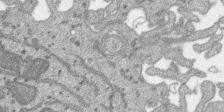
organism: Human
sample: Lung epithelial cells infected with SARS-CoV-2